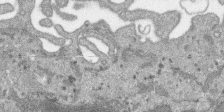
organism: Human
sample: Lung epithelial cells infected with SARS-CoV-2